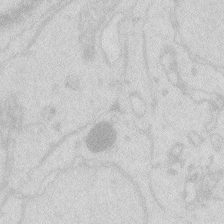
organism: Zebrafish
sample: Macrophage